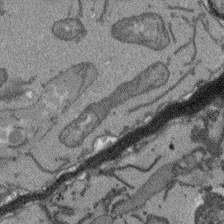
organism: Arabidopsis thaliana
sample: Root tip